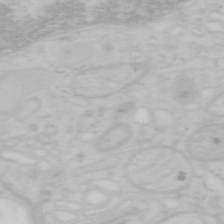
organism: Mouse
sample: OT-I killer T cells with ID8 ovarian cancer cells